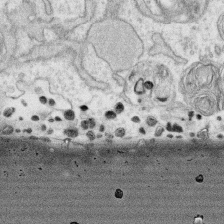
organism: Human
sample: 1205lu cells